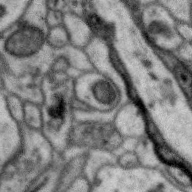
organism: Zebra finch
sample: Brain